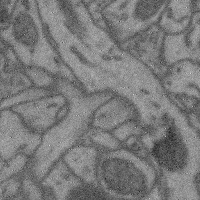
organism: Mouse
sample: Cerebral cortex